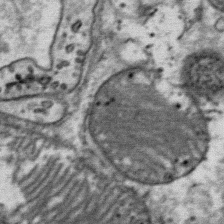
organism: Mouse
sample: Mouse Salivary gland